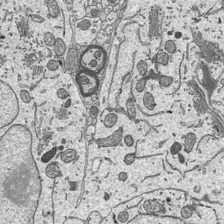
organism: Mouse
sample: Suprachiasmatic nucleus